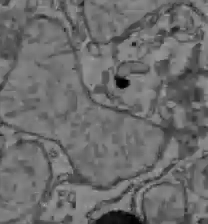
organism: C57BL Mouse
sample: Liver